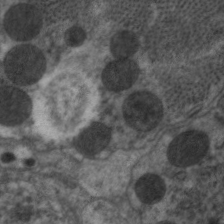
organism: C. elegans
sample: Pharynx